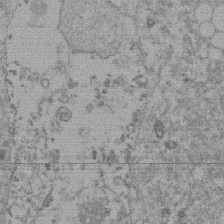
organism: Mouse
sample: Dividing mouse embryo 1 cell stage